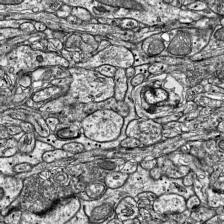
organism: Mouse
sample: Visual Cortex